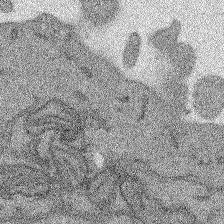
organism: Human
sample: HeLa cells